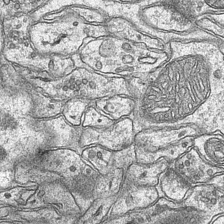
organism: Mouse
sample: CA1 Hippocampus